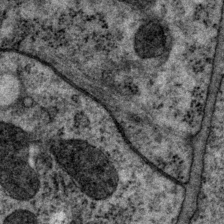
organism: P. pacificus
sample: Pharynx